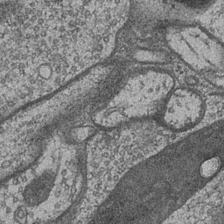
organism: Drosophila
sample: Optic medulla